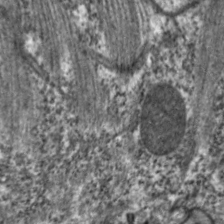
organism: C. elegans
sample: Pharynx